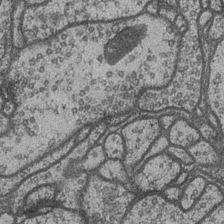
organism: Drosophila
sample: Optic medulla